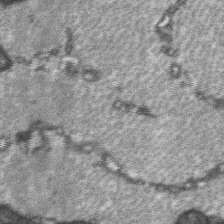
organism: C57BL Mouse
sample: Soleus